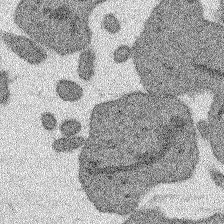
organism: Human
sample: HeLa cells